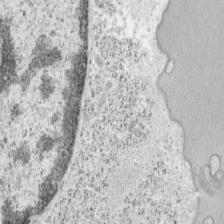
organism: Mouse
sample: OT-I killer T cells with ID8 ovarian cancer cells